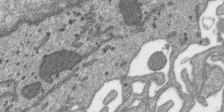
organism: Human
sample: Lung epithelial cells infected with SARS-CoV-2